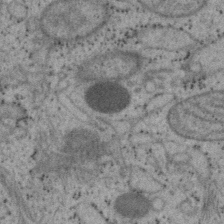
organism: Human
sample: HeLa cells